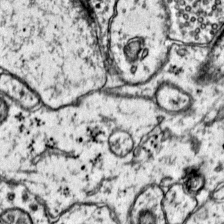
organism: Mouse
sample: Primary visual cortex